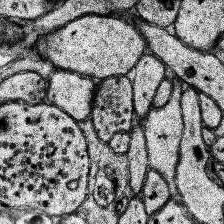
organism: Human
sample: Temporal Lobe